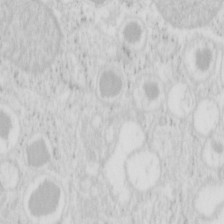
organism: Mouse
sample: Pancreas